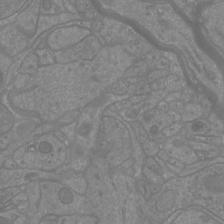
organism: Mouse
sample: Cortical neurons